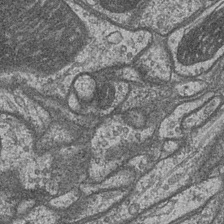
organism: Drosophila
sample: Optic medulla